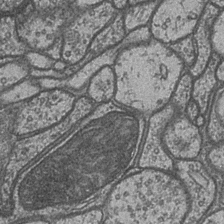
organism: Drosophila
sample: Optic medulla